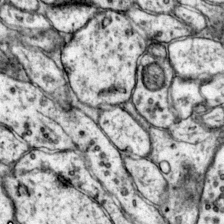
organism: Mouse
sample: Primary visual cortex